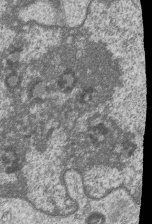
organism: Human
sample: MDA-MB-231 cells